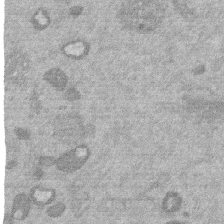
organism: Mouse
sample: Dividing mouse embryo 1 cell stage